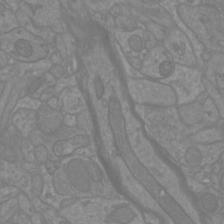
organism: Mouse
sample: Cortical neurons